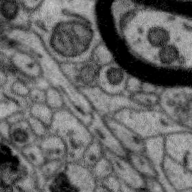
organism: Zebra finch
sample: Brain